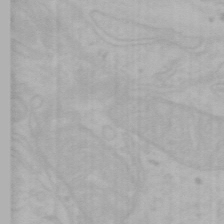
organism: Mouse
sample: Choroid plexus